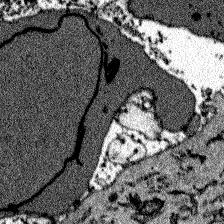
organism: Zebrafish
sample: Larval olfactory bulb